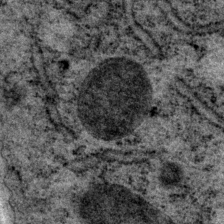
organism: P. pacificus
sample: Pharynx